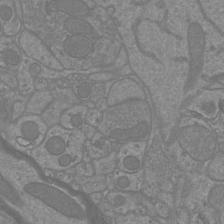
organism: Mouse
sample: Cortical neurons